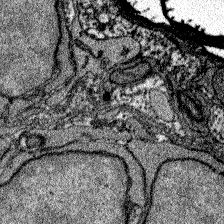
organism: Zebrafish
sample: Larval olfactory bulb